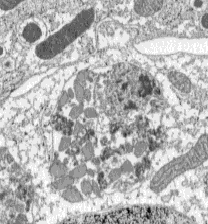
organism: C57BL Mouse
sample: Pancreatic islet